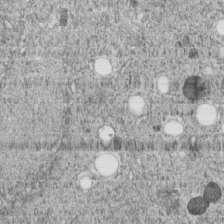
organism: C. elegans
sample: C. elegans embryo early stage